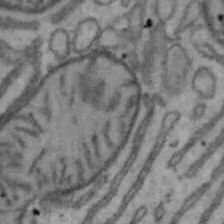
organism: Mouse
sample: Liver